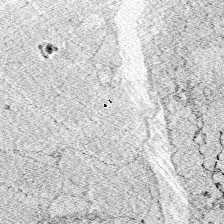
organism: Zebrafish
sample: Whole-Brain